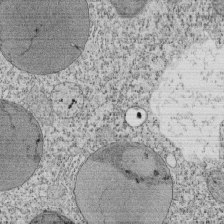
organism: Tetrahymena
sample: Cilia in tetrahymena